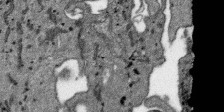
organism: Human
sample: Lung epithelial cells, uninfected (mock) control